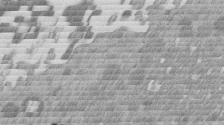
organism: Mouse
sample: Dividing mouse embryo 1 cell stage